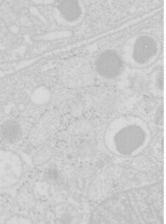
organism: Mouse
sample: Pancreas